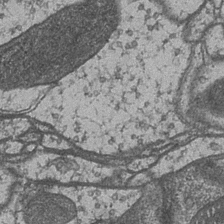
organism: Drosophila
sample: Optic medulla